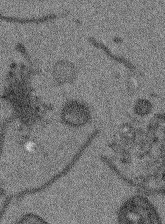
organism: Arabidopsis thaliana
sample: Root tip